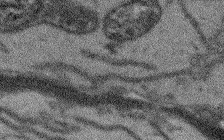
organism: Arabidopsis thaliana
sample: Root tip